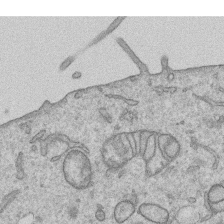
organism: Human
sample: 1205lu cells